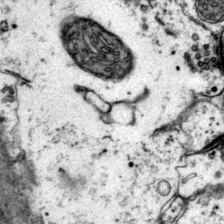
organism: Mouse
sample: Primary visual cortex